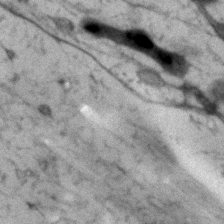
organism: Human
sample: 1205lu cells